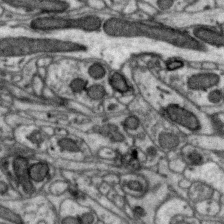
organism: Zebra finch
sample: Brain